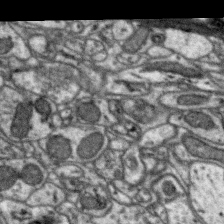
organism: Zebra finch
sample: Brain